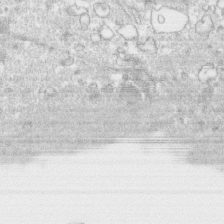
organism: Human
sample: CRL-1474